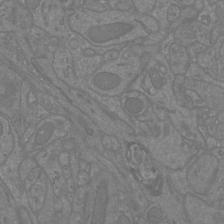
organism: Mouse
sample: Cortical neurons